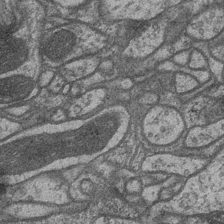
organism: Drosophila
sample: Optic medulla